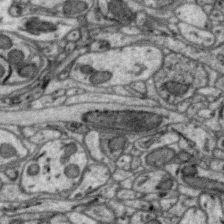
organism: Zebra finch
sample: Brain